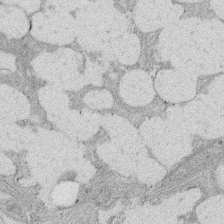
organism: Rat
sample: Salivary granule